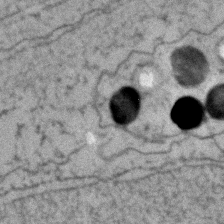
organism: Zebrafish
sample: Zebrafish embryo